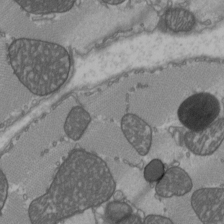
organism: C57BL Mouse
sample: Heart